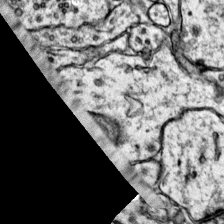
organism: Mouse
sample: Primary visual cortex